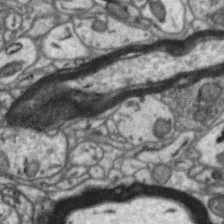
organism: Zebra finch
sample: Brain